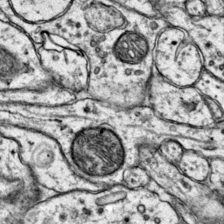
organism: Mouse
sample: Primary visual cortex